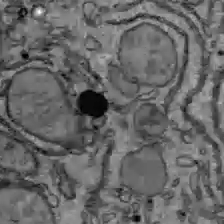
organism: C57BL Mouse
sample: Liver